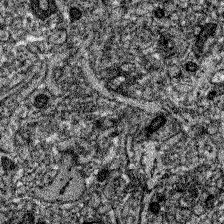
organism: Zebrafish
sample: Larval olfactory bulb